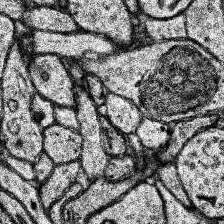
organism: Human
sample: Temporal Lobe